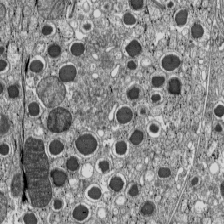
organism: C57BL Mouse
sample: Pancreatic islet